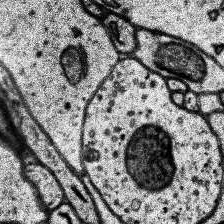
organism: Human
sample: Temporal Lobe